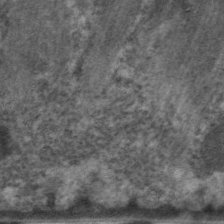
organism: C. elegans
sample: Pharynx